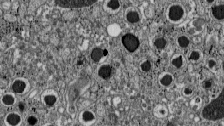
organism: C57BL Mouse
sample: Pancreatic islet